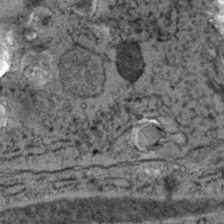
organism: C. elegans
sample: C. elegans embryo